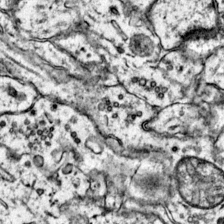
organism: Mouse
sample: Primary visual cortex